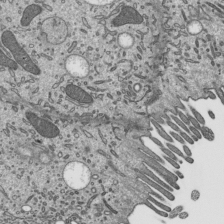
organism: Mouse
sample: Mouse epididymis efferent ductule cilia